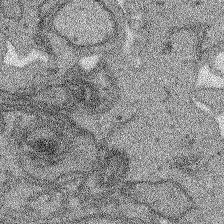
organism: Human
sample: HeLa cells